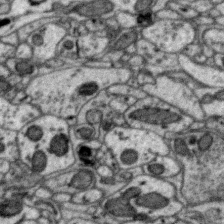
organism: Zebra finch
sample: Brain